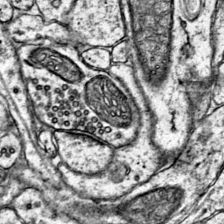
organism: Mouse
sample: Primary visual cortex